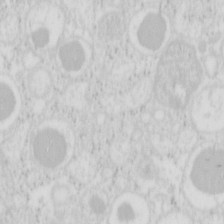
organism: Mouse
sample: Pancreas